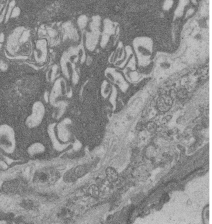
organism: Rat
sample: Salivary granule